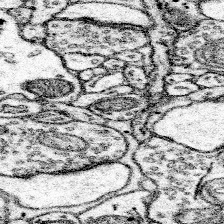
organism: Mouse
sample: Somatosensory cortex neuropil